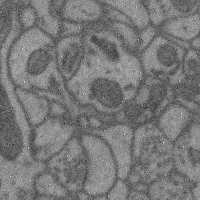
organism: Mouse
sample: Cerebral cortex